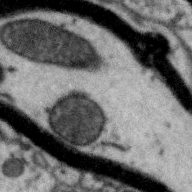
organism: Zebra finch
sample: Brain